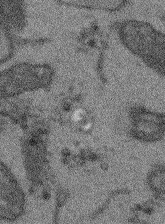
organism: Arabidopsis thaliana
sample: Root tip